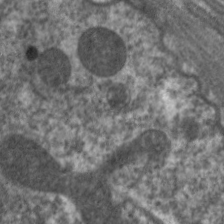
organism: C. elegans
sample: Pharynx